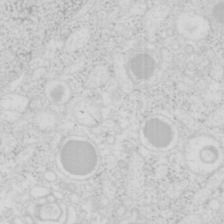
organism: Mouse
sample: Pancreas